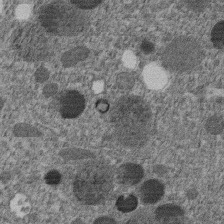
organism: C. elegans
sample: C. elegans embryo early stage